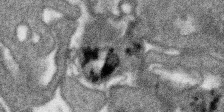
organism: Human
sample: Lung epithelial cells infected with SARS-CoV-2